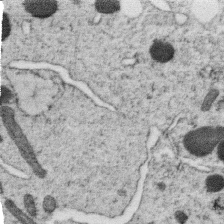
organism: C. elegans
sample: C. elegans oocyte; sperm cells